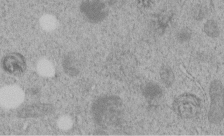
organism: C. elegans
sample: C. elegans embryo early stage